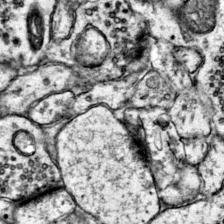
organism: Mouse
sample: Primary visual cortex